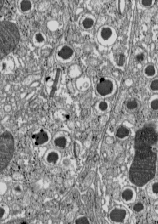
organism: C57BL Mouse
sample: Pancreatic islet